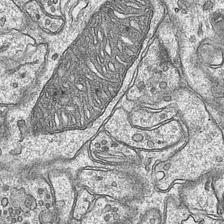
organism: Mouse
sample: CA1 Hippocampus